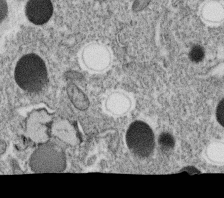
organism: C. elegans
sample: C. elegans oocyte; sperm cells